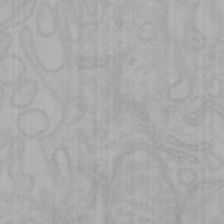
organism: Mouse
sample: Choroid plexus